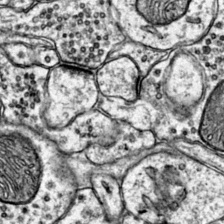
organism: Mouse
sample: Primary visual cortex